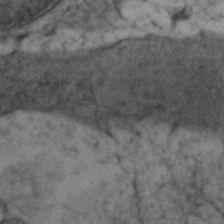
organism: Zebrafish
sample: Zebrafish embryo